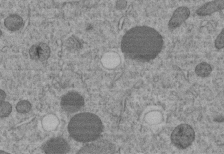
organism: C. elegans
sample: C. elegans embryo early stage